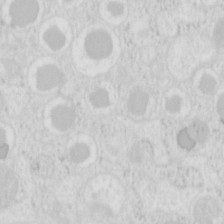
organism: Mouse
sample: Pancreas